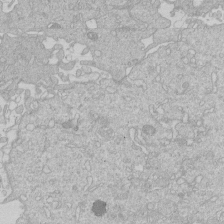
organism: Human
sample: Macrophage cells